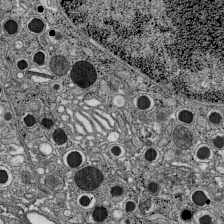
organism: C57BL Mouse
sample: Pancreatic islet